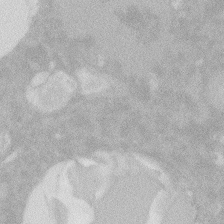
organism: Zebrafish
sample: Macrophage